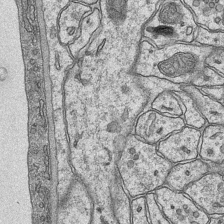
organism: Mouse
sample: CA1 Hippocampus